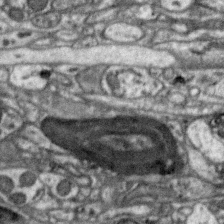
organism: Zebra finch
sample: Brain